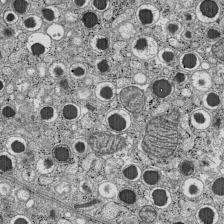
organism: C57BL Mouse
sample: Pancreatic islet